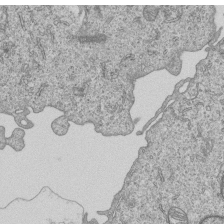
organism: Human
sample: MDA-MB-231 cells